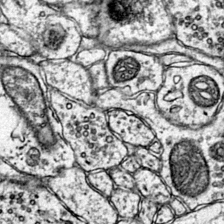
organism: Mouse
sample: Primary visual cortex